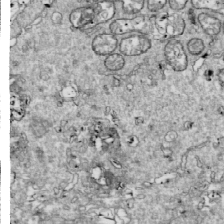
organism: Drosophila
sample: Cell division; meiosis; drosophila spermatocytes